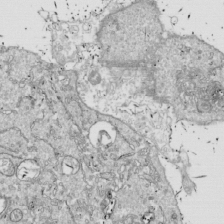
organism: Drosophila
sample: Cell division; meiosis; drosophila spermatocytes